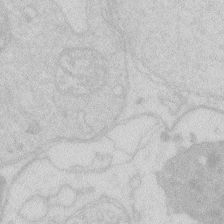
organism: Zebrafish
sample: Macrophage